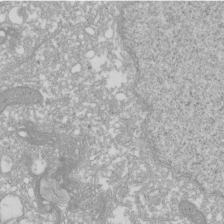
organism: Xenopus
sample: Cilia; centrioles in frog embryo cells